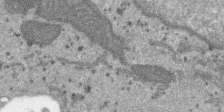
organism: Human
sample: Lung epithelial cells infected with SARS-CoV-2